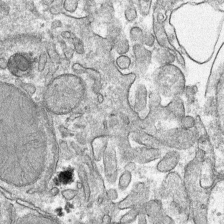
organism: Mouse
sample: Mouse hepatocytes